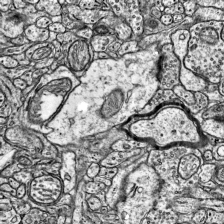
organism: Mouse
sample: Visual Cortex